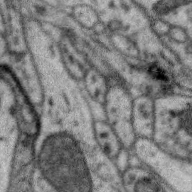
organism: Zebra finch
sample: Brain